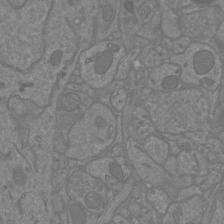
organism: Mouse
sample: Cortical neurons